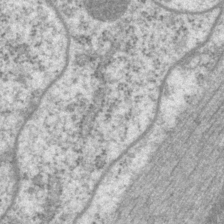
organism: P. pacificus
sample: Pharynx